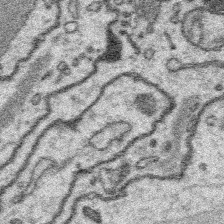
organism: Platynereis dumerilii